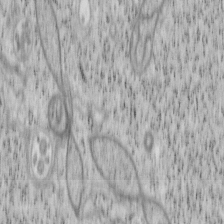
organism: Human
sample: HeLa cells